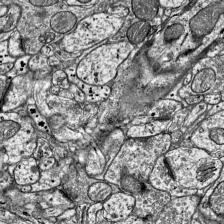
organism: Mouse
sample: Visual Cortex